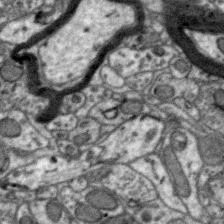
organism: Zebra finch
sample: Brain